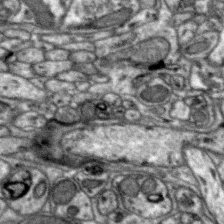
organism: Zebra finch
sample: Brain